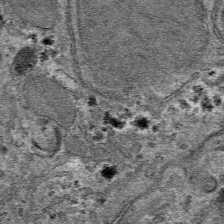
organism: Mouse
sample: Mouse hepatocytes